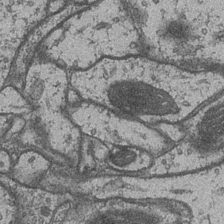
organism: Drosophila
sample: Optic medulla